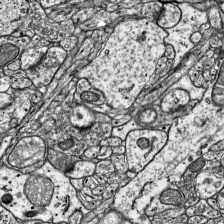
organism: Mouse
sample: Visual Cortex